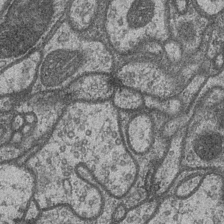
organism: Drosophila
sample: Optic medulla